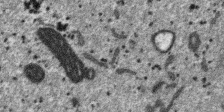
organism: Human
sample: Lung epithelial cells infected with SARS-CoV-2